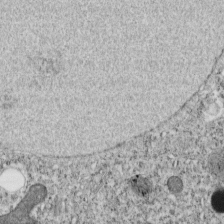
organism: C. elegans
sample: C. elegans embryo early stage